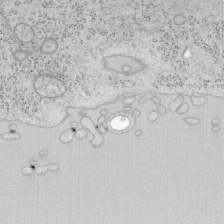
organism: Mouse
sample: OT-I killer T cells with ID8 ovarian cancer cells